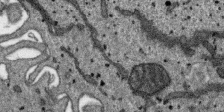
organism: Human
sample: Lung epithelial cells, uninfected (mock) control